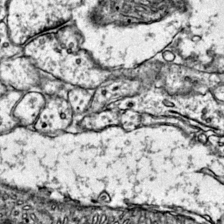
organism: Mouse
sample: Primary visual cortex